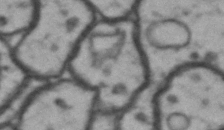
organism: Drosophila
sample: Brain